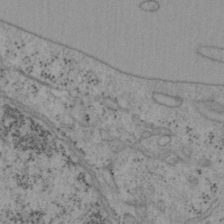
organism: Human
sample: HeLa cells